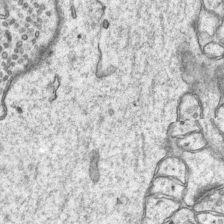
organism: Mouse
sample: CA1 Hippocampus